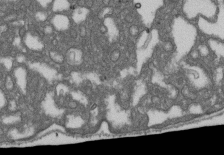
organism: Drosophila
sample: Nephrocyte